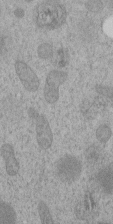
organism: C. elegans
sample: C. elegans embryo early stage